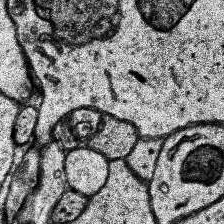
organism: Human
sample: Temporal Lobe